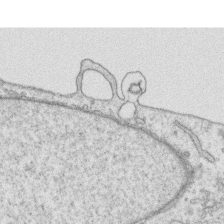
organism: Human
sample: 1205lu cells